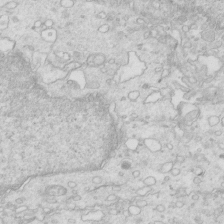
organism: Mouse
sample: Multiciliated cells